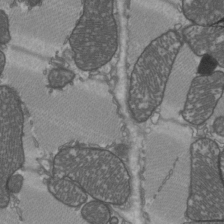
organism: C57BL Mouse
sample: Heart